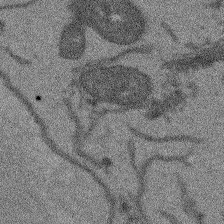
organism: Arabidopsis thaliana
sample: Root tip